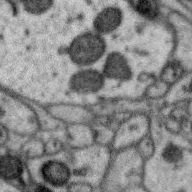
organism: Zebra finch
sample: Brain